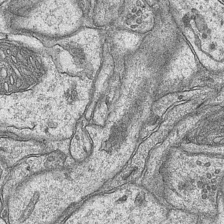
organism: Mouse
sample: CA1 Hippocampus